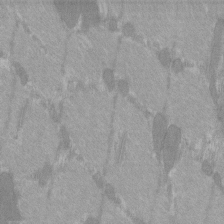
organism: C57BL Mouse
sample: Tibialis anterior muscle cell